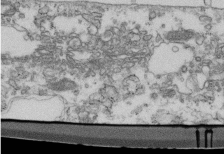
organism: Mouse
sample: Cilia; retinal pigment epithelium